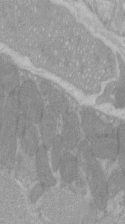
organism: C57BL Mouse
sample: Tibialis anterior muscle cell